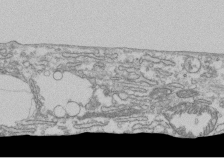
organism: Human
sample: Fibroblast cells